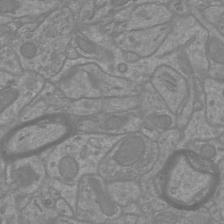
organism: Mouse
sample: Cortical neurons